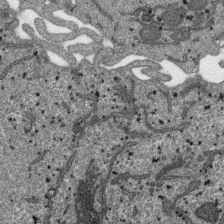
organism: Human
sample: Lung epithelial cells infected with SARS-CoV-2